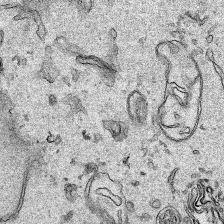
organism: Human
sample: Mitochondria in HCT116 cells